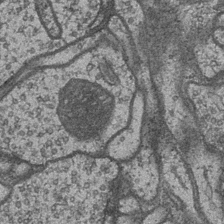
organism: Drosophila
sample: Optic medulla